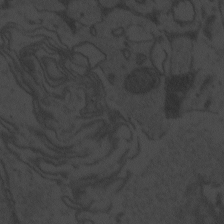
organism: Zebrafish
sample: Macrophage infected with Toxoplasma gondii